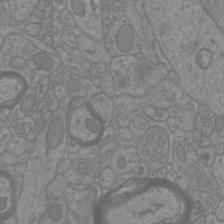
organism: Mouse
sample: Cortical neurons